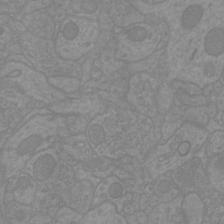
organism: Mouse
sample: Cortical neurons